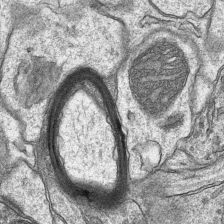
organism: Mouse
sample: CA1 Hippocampus